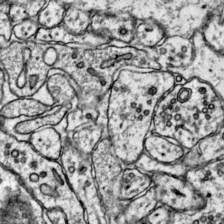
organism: Mouse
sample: Primary visual cortex